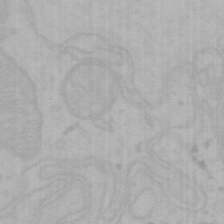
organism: Mouse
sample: Choroid plexus